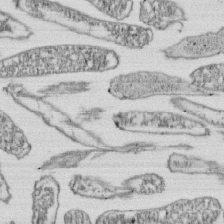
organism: E. coli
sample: Bacterial nucleoid